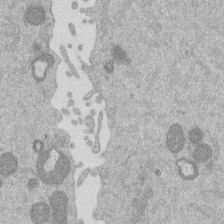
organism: Mouse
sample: Dividing mouse embryo 1 cell stage